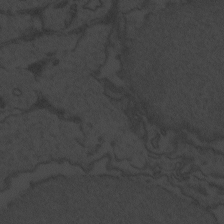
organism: Zebrafish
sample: Macrophage infected with Toxoplasma gondii